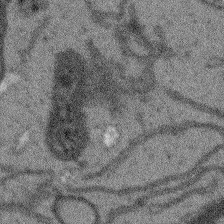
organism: Arabidopsis thaliana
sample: Root tip